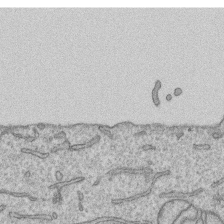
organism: Human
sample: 1205lu cells